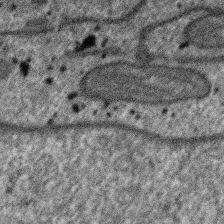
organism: Human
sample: Lung epithelial cells infected with SARS-CoV-2